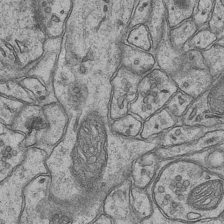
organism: Mouse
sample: CA1 Hippocampus